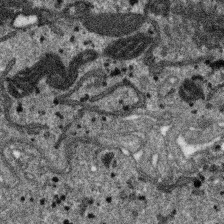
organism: Human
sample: Lung epithelial cells infected with SARS-CoV-2